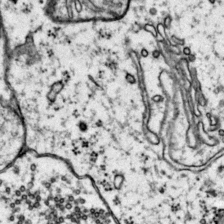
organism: Mouse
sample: Primary visual cortex